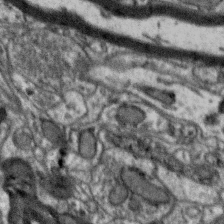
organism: Zebra finch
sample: Brain